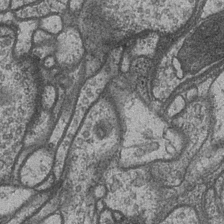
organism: Drosophila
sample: Optic medulla